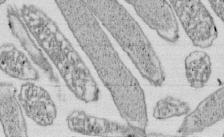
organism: E. coli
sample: Bacterial nucleoid